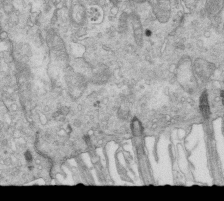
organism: Mouse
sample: Multiciliated cells